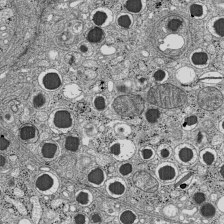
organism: C57BL Mouse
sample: Pancreatic islet